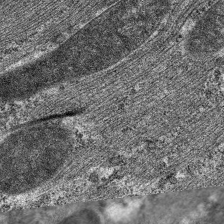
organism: C. elegans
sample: Pharynx